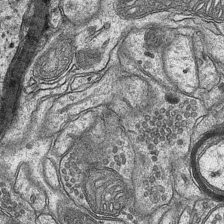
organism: Mouse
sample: CA1 Hippocampus